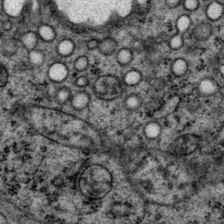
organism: P. pacificus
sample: Pharynx